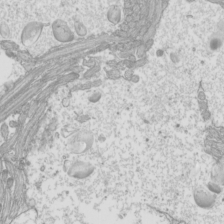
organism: Mouse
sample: Cilia; mouse epididymis